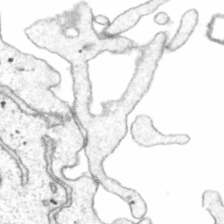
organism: Human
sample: HeLa cells